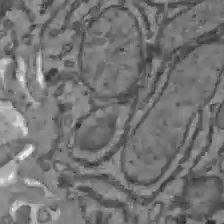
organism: C57BL Mouse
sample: Liver